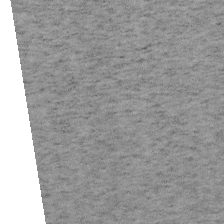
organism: Mouse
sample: OT-I killer T cells with ID8 ovarian cancer cells